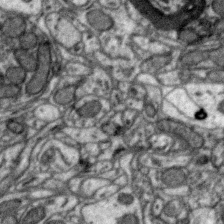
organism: Zebra finch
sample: Brain